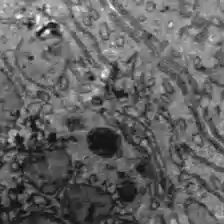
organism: C57BL Mouse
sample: Liver